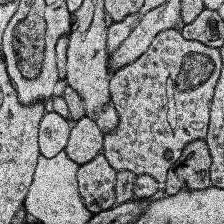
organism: Human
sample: Temporal Lobe